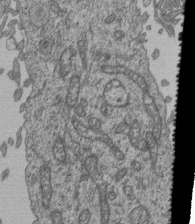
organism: Human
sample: Retinal organoid Rod and Cone cells